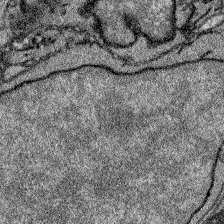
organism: Zebrafish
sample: Larval olfactory bulb